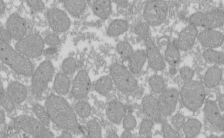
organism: Xenopus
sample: Cilia; centrioles in frog embryo cells